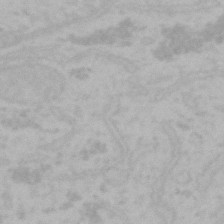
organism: Mouse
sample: Choroid plexus